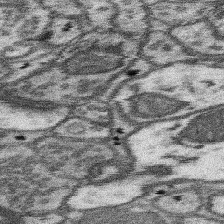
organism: Mouse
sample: Somatosensory cortex neuropil